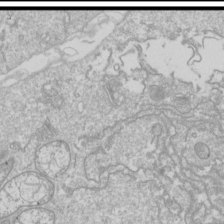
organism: Drosophila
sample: Cell division; meiosis; drosophila spermatocytes